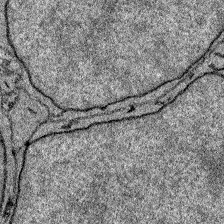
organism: Zebrafish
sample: Larval olfactory bulb